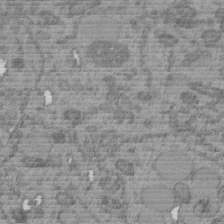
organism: C. elegans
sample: C. elegans embryo early stage